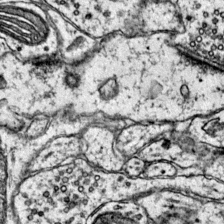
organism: Mouse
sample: Primary visual cortex